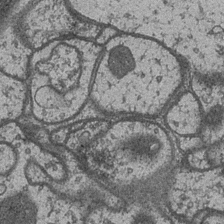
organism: Drosophila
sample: Optic medulla